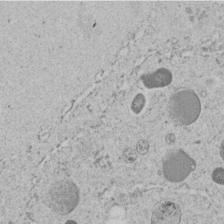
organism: C. elegans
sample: C. elegans embryo early stage